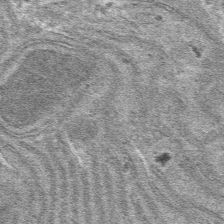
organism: Mouse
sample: Mouse hepatocytes